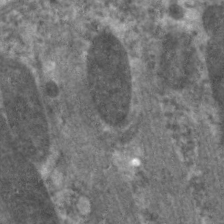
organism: C. elegans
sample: Pharynx